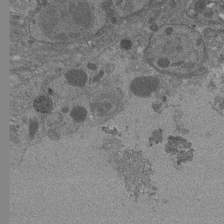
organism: Drosophila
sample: Antenna